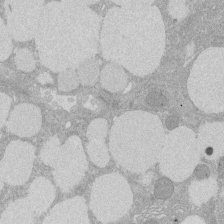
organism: Rat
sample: Salivary granule